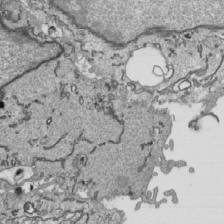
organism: Human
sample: Mitochondria in HCT116 cells